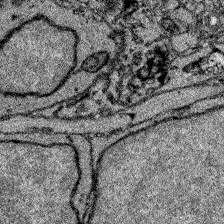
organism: Zebrafish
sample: Larval olfactory bulb